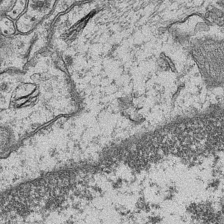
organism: Mouse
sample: CA1 Hippocampus